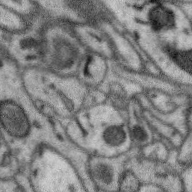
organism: Zebra finch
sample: Brain